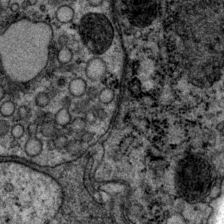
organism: P. pacificus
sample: Pharynx